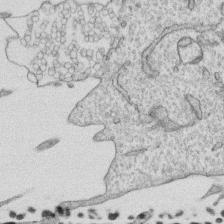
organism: Human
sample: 1205lu cells